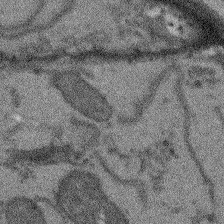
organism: Arabidopsis thaliana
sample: Root tip